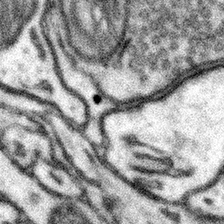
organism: Mouse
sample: Somatosensory cortex neuropil